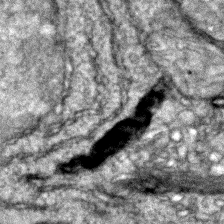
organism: Zebrafish